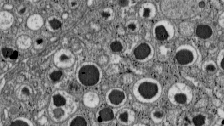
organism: C57BL Mouse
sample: Pancreatic islet